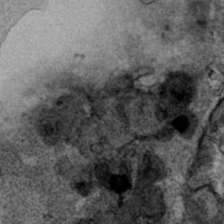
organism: Human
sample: Mitochondria in HCT116 cells